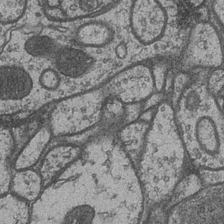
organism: Drosophila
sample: Optic medulla